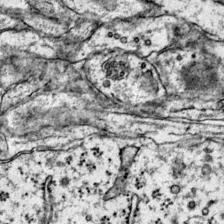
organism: Mouse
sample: Primary visual cortex